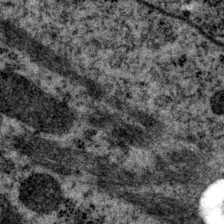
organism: P. pacificus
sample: Pharynx